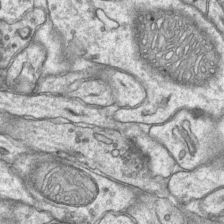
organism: Mouse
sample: CA1 Hippocampus